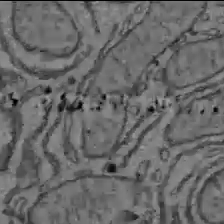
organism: C57BL Mouse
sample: Liver